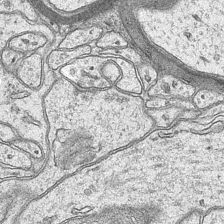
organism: Mouse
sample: CA1 Hippocampus